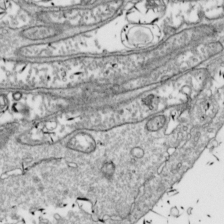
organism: Drosophila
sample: Cell division; meiosis; drosophila spermatocytes